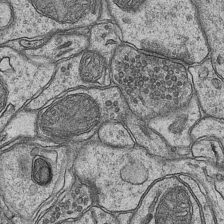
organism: Mouse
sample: CA1 Hippocampus